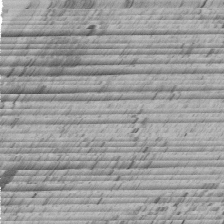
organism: C. elegans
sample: C. elegans embryo early stage